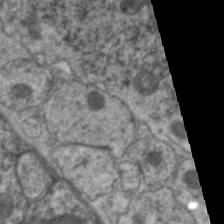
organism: C. elegans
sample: Pharynx